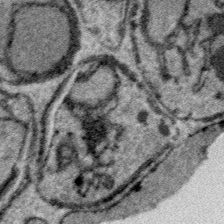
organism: Plasmodium falciparum